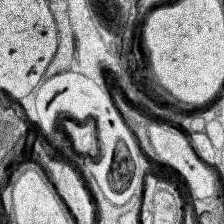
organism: Human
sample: Temporal Lobe